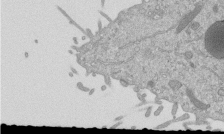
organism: Mouse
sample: ED-1 cell nuclei; centrioles